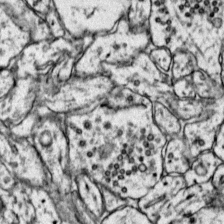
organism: Mouse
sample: Primary visual cortex